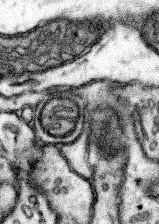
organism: Mouse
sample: Somatosensory cortex neuropil